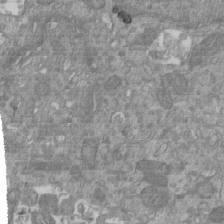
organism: Mouse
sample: ED-1 cell nuclei; centrioles